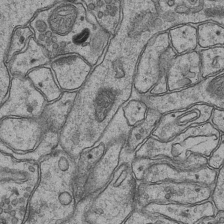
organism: Mouse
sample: CA1 Hippocampus